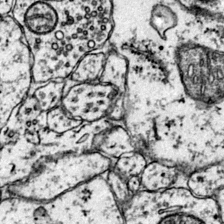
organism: Mouse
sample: Primary visual cortex